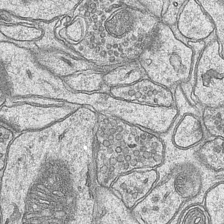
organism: Mouse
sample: CA1 Hippocampus